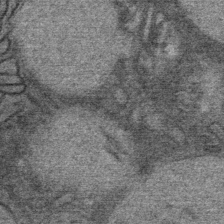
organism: Mouse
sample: Mouse Salivary gland